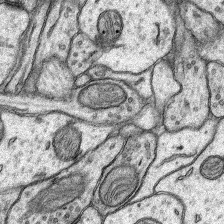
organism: Rat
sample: Hippocampus